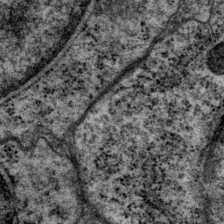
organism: P. pacificus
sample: Pharynx